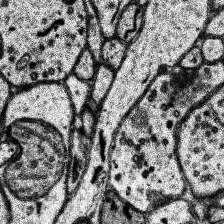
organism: Human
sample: Temporal Lobe